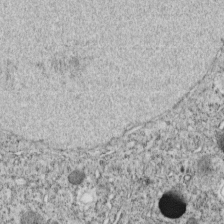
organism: C. elegans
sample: C. elegans embryo early stage